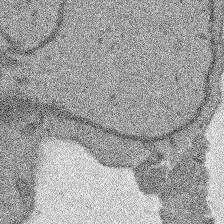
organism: Human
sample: HeLa cells